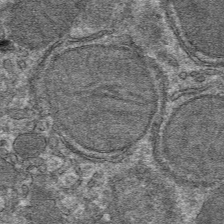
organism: Mouse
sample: Mouse hepatocytes